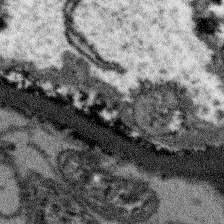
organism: Arabidopsis thaliana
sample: Root tip